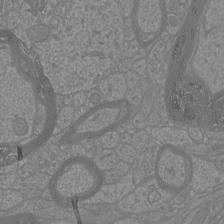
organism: Mouse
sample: Cortical neurons